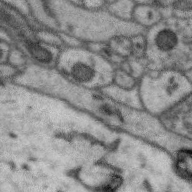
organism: Zebra finch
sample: Brain